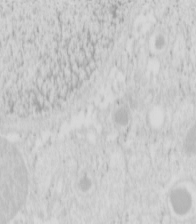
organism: Mouse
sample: Pancreas